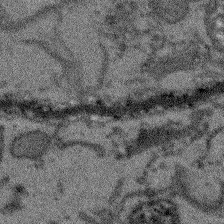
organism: Arabidopsis thaliana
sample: Root tip